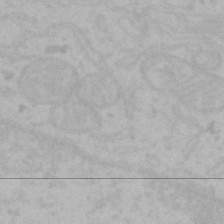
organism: Mouse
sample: Choroid plexus